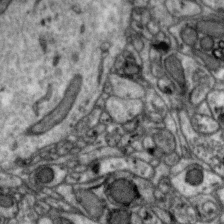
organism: Zebra finch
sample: Brain